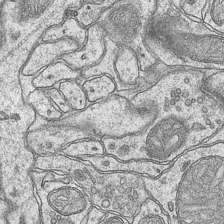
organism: Mouse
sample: CA1 Hippocampus